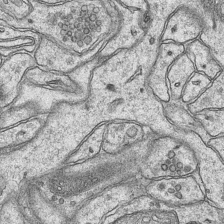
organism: Mouse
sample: CA1 Hippocampus